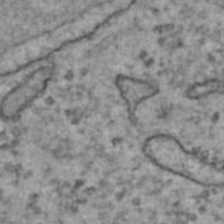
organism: Human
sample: Blood